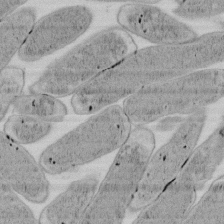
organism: E. coli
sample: Bacterial nucleoid